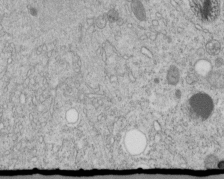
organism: C. elegans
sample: C. elegans embryo early stage